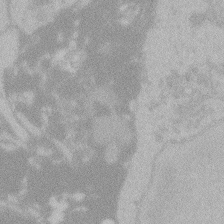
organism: Zebrafish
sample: Macrophage infected with Toxoplasma gondii